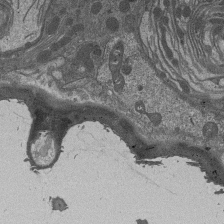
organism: Drosophila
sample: Antenna